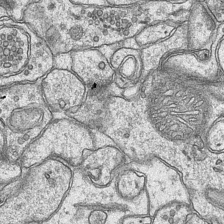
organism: Mouse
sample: CA1 Hippocampus